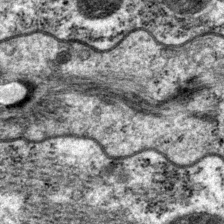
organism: P. pacificus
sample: Pharynx